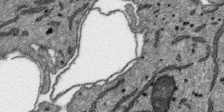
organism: Human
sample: Lung epithelial cells, uninfected (mock) control